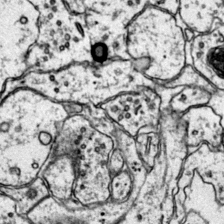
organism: Mouse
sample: Primary visual cortex